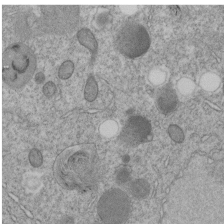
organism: C. elegans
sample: C. elegans embryo early stage